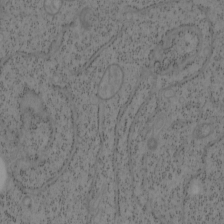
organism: Mouse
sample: OT-I killer T cells with ID8 ovarian cancer cells